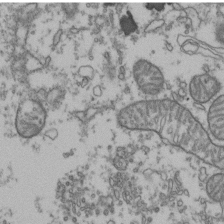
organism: Human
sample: Activated Jurkat CD4+ T cells